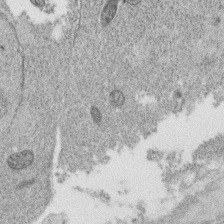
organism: C. elegans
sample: C. elegans oocyte; sperm cells